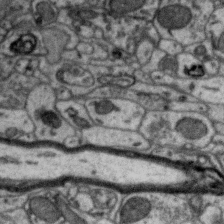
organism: Zebra finch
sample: Brain